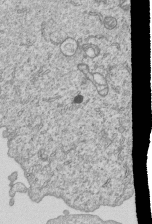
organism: Human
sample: MDA-MB-231 cells